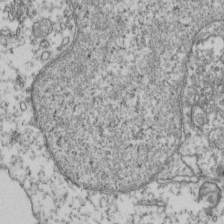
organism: Human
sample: Activated Jurkat CD4+ T cells